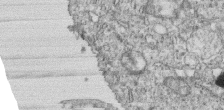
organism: Human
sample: HeLa cell HIV synapse